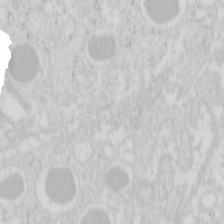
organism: Mouse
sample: Pancreas